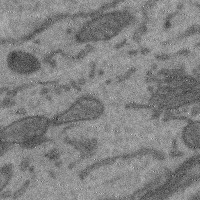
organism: Mouse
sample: Cerebral cortex